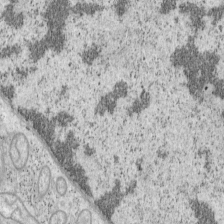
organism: Mouse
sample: OT-I killer T cells with ID8 ovarian cancer cells